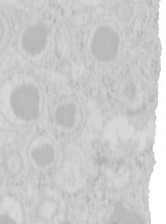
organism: Mouse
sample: Pancreas